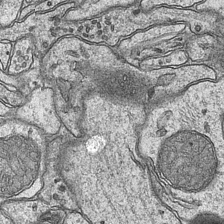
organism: Mouse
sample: CA1 Hippocampus